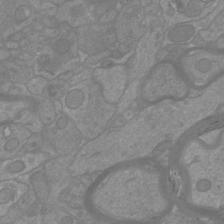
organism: Mouse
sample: Cortical neurons